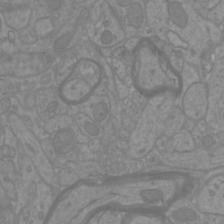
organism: Mouse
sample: Cortical neurons